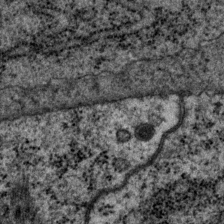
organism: P. pacificus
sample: Pharynx